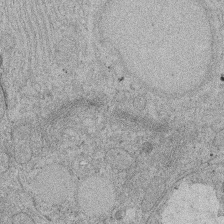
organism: Rat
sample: Salivary granule